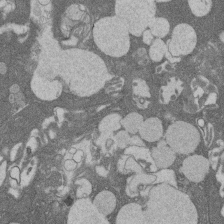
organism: Rat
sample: Salivary granule